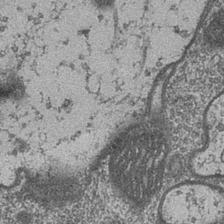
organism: Drosophila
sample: Optic medulla